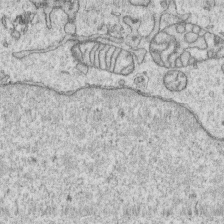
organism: Human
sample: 1205lu cells